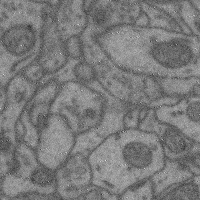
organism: Mouse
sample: Cerebral cortex